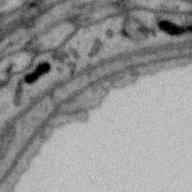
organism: Zebra finch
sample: Brain